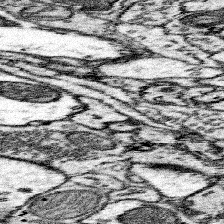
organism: Mouse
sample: Somatosensory cortex neuropil